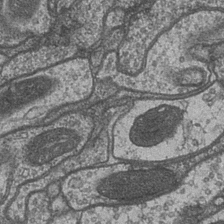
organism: Drosophila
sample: Optic medulla